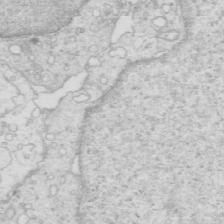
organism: Mouse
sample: Multiciliated cells